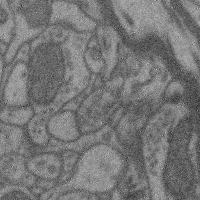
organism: Mouse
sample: Cerebral cortex